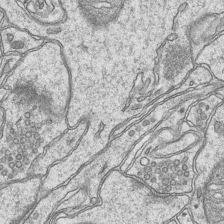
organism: Mouse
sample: CA1 Hippocampus